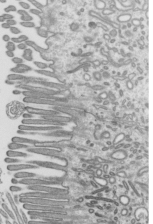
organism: Mouse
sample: Mouse epididymis efferent ductule cilia